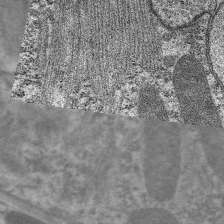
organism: C. elegans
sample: Pharynx